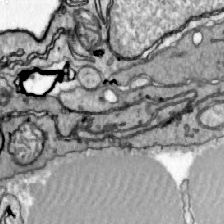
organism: Zebrafish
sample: Actinotrichia fibers